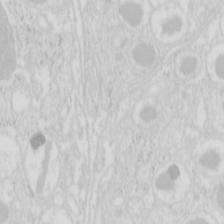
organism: Mouse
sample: Pancreas